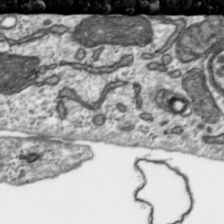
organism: Toxoplasma gondii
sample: Parasites in a vacuole inside a host cell